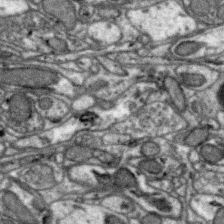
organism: Zebra finch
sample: Brain